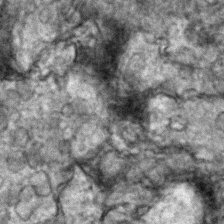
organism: Zebrafish